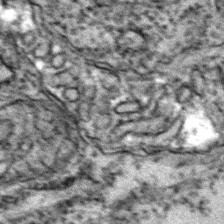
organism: Zebrafish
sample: Zebrafish embryo